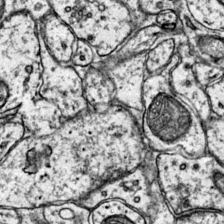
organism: Mouse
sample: Primary visual cortex